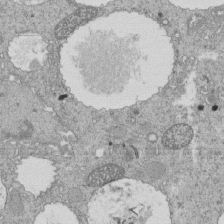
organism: Tetrahymena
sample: Cilia in tetrahymena